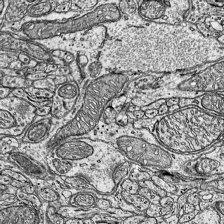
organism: Mouse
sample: Visual Cortex